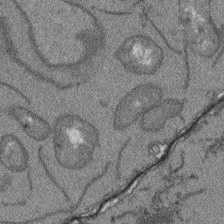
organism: Arabidopsis thaliana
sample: Root tip